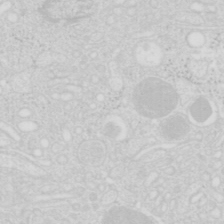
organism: Mouse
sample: Pancreas